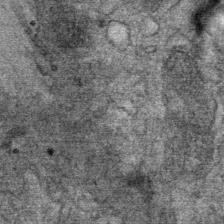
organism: Mouse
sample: Mouse Salivary gland